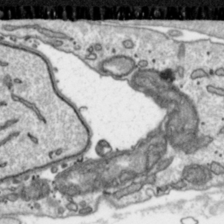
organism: Toxoplasma gondii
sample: Parasites in a vacuole inside a host cell